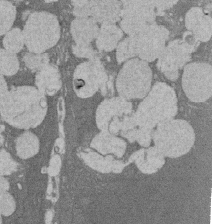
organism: Rat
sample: Salivary granule